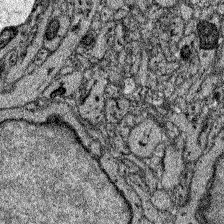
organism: Zebrafish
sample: Larval olfactory bulb